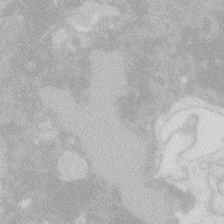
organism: Zebrafish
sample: Macrophage